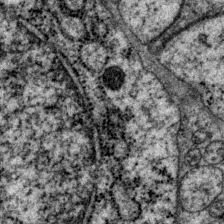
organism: P. pacificus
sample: Pharynx